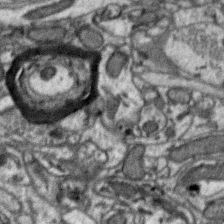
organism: Zebra finch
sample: Brain